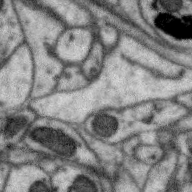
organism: Zebra finch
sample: Brain